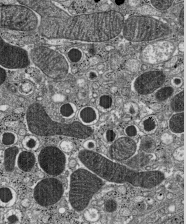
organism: C57BL Mouse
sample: Pancreatic islet